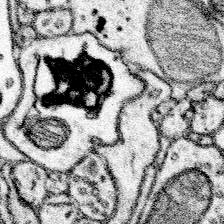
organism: Mouse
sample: Somatosensory cortex neuropil